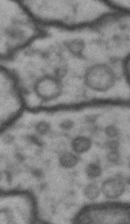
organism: Drosophila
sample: Brain